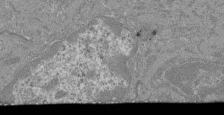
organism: Mouse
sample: Glomerulus